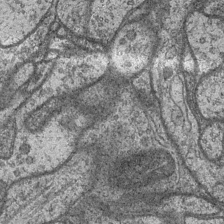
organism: Drosophila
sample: Optic medulla